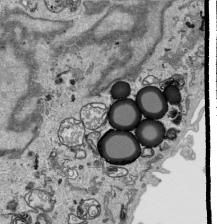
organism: Human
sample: Mitochondria in HCT116 cells